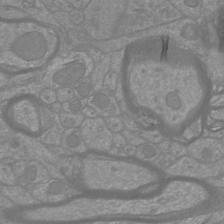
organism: Mouse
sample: Cortical neurons